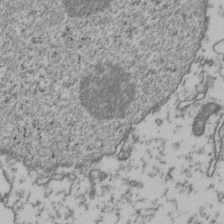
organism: Human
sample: Activated Jurkat CD4+ T cells